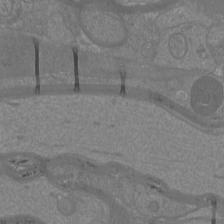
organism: Mouse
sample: Cortical neurons